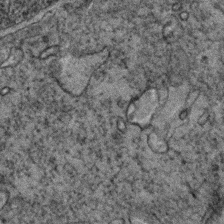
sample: Trachea